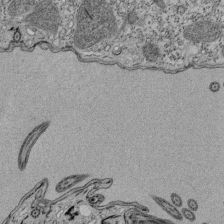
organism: Tetrahymena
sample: Cilia in tetrahymena